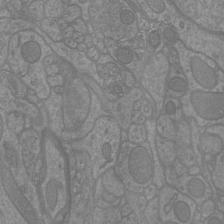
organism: Mouse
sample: Cortical neurons